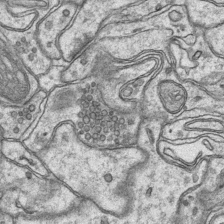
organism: Mouse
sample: CA1 Hippocampus